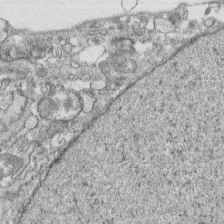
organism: Human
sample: CRL-1474